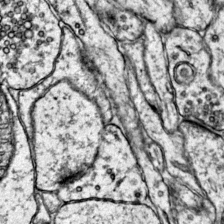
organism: Mouse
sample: Primary visual cortex